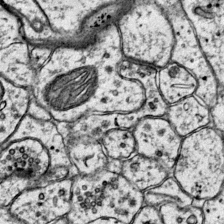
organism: Mouse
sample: Primary visual cortex